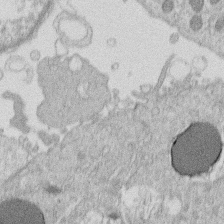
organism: Human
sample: Macrophage cells